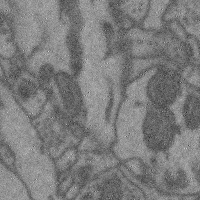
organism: Mouse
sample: Cerebral cortex